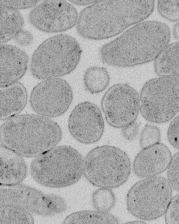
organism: E. coli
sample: Bacterial nucleoid